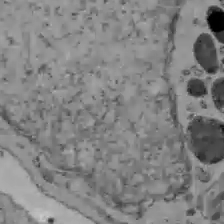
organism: C57BL Mouse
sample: Liver